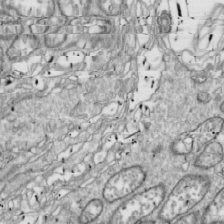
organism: Drosophila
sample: Cell division; meiosis; drosophila spermatocytes